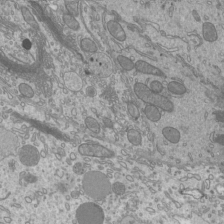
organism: Mouse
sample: Cilia; mouse epididymis